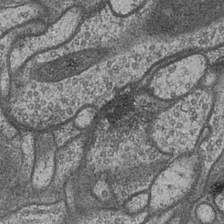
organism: Drosophila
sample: Optic medulla